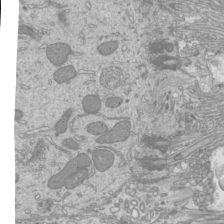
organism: Mouse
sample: Cilia; mouse epididymis